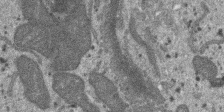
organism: Human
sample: Lung epithelial cells infected with SARS-CoV-2